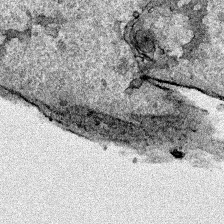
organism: Human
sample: Mitochondria in HCT116 cells